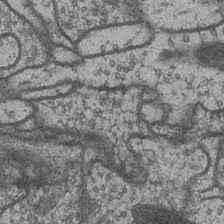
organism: Drosophila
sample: Optic medulla